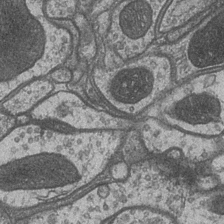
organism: Drosophila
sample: Optic medulla